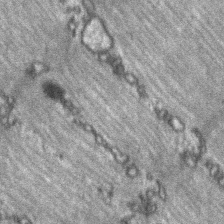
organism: C57BL Mouse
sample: Soleus